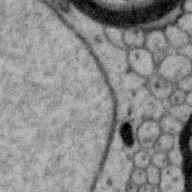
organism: Zebra finch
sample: Brain